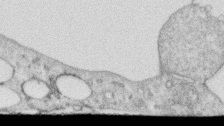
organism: Human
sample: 1205lu cells